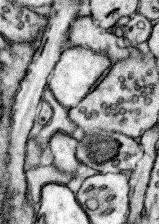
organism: Mouse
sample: Somatosensory cortex neuropil